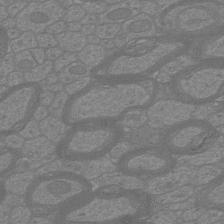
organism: Mouse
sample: Cortical neurons